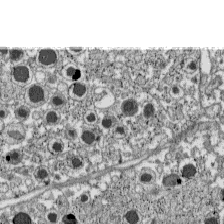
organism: C57BL Mouse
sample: Pancreatic islet